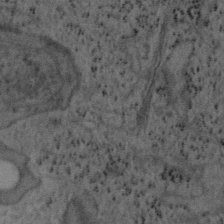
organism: Human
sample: HeLa cells